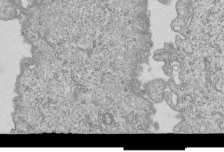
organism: Human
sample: MDA-MB-231 cells